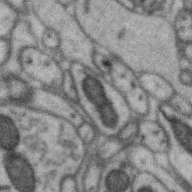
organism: Zebra finch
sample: Brain